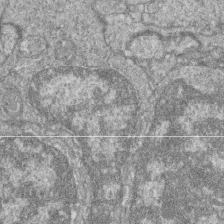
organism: Zebrafish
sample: Cilia; retinal pigment epithelium